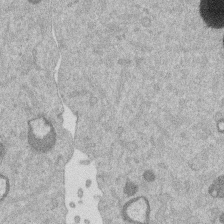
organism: Mouse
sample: Dividing mouse embryo 1 cell stage